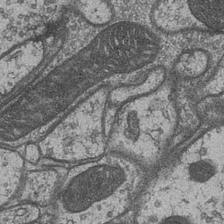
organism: Drosophila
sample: Optic medulla